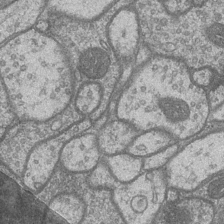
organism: Drosophila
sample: Optic medulla